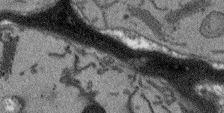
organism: Arabidopsis thaliana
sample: Root tip